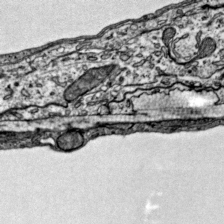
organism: Mouse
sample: Visual Cortex